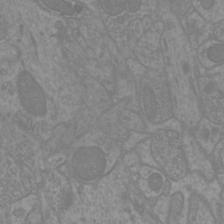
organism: Mouse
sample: Cortical neurons